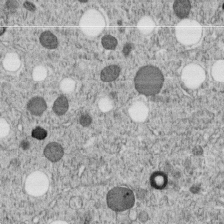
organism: C. elegans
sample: C. elegans embryo early stage